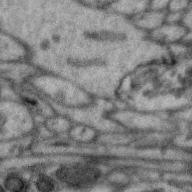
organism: Zebra finch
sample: Brain